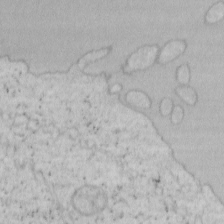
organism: Human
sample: HeLa cells